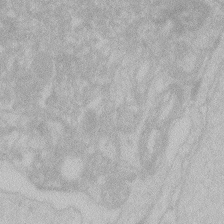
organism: Zebrafish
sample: Macrophage infected with Toxoplasma gondii